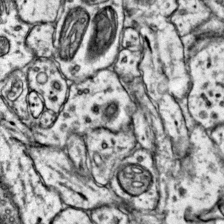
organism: Mouse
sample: Primary visual cortex